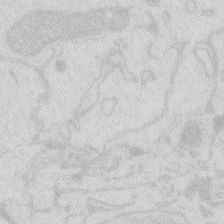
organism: Zebrafish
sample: Macrophage